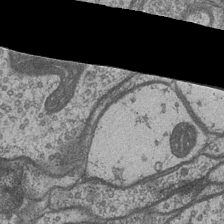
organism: Drosophila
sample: Optic medulla